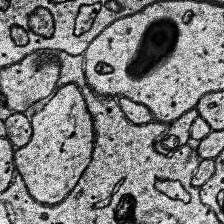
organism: Human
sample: Temporal Lobe